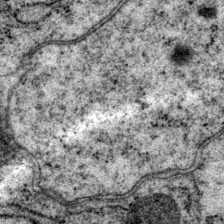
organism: P. pacificus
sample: Pharynx